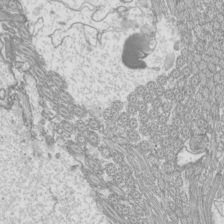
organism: Mouse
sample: Cilia; mouse epididymis